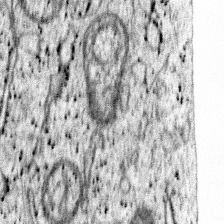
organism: Human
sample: HeLa cells